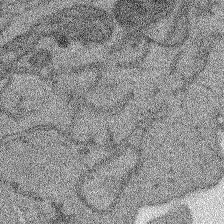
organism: Human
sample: HeLa cells